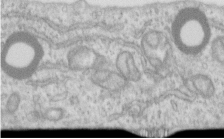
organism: Human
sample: Centriole in RPE cells